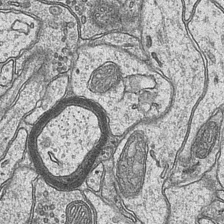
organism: Mouse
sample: CA1 Hippocampus